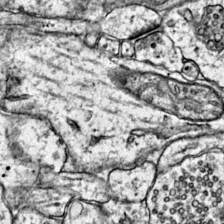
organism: Mouse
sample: Primary visual cortex